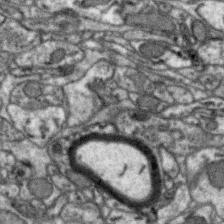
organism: Zebra finch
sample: Brain